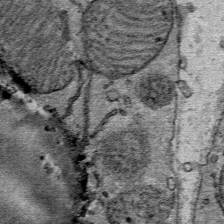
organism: Mouse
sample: Mouse Salivary gland